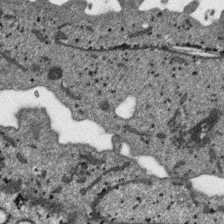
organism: Human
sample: Lung epithelial cells infected with SARS-CoV-2